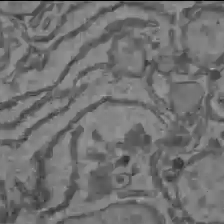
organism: C57BL Mouse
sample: Liver